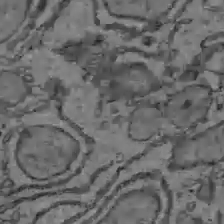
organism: C57BL Mouse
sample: Liver